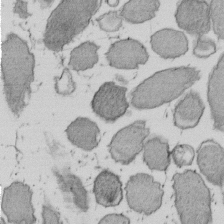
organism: E. coli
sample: Bacterial nucleoid